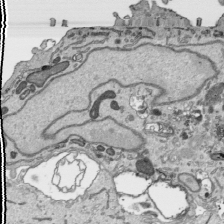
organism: Human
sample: Mitochondria in HCT116 cells